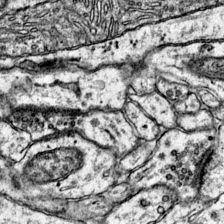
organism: Mouse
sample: Primary visual cortex